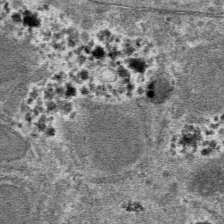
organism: Mouse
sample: Mouse hepatocytes